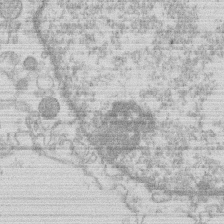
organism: Human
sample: Macrophage cells